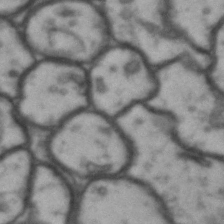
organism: Drosophila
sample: Brain